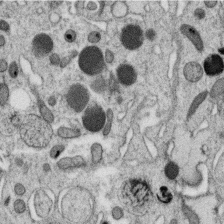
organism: C. elegans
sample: C. elegans oocyte; sperm cells